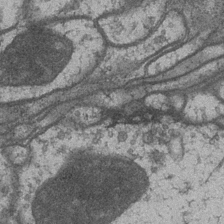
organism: Drosophila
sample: Optic medulla